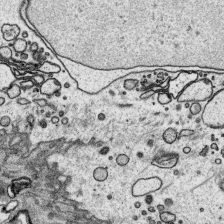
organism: Platynereis dumerilii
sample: Parapodia